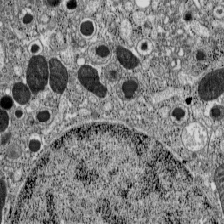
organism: C57BL Mouse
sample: Pancreatic islet